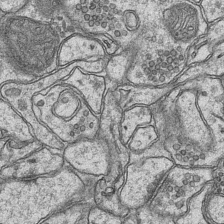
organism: Mouse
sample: CA1 Hippocampus